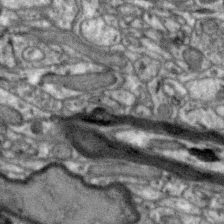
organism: Zebra finch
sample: Brain